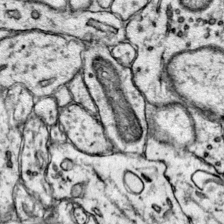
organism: Mouse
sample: Primary visual cortex